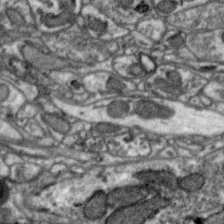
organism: Zebra finch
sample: Brain